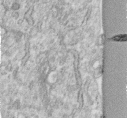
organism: Human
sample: Centriole in fibroblast cells